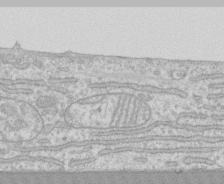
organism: Human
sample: CRL-1474